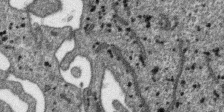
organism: Human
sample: Lung epithelial cells infected with SARS-CoV-2